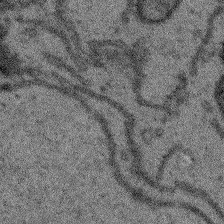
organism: Arabidopsis thaliana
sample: Root tip